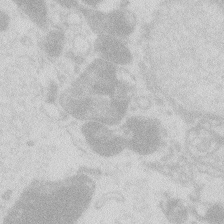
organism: Zebrafish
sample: Macrophage